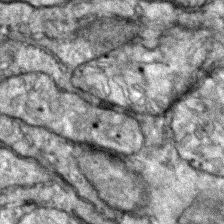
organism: Zebrafish